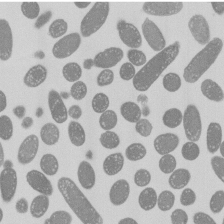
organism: E. coli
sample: Bacterial nucleoid